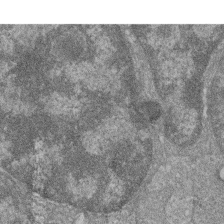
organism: Zebrafish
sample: Cilia; retinal pigment epithelium